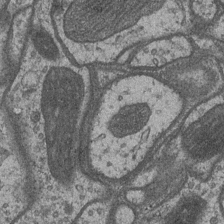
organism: Drosophila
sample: Optic medulla